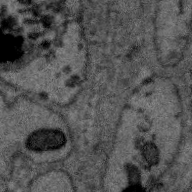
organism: Zebra finch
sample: Brain